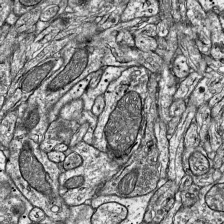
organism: Mouse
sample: Visual Cortex